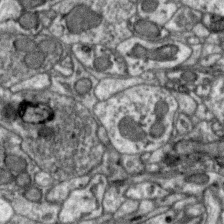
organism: Zebra finch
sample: Brain